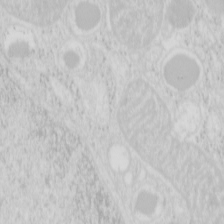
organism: Mouse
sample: Pancreas